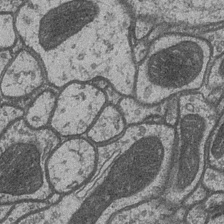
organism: Drosophila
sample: Optic medulla